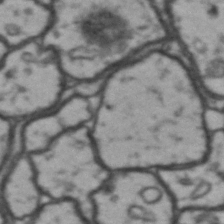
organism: Drosophila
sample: Brain